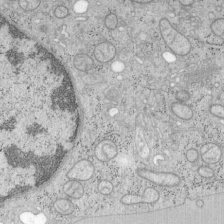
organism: Mouse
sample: OT-I killer T cells with ID8 ovarian cancer cells